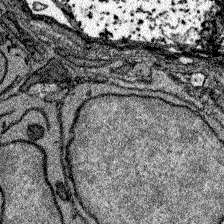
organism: Zebrafish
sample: Larval olfactory bulb